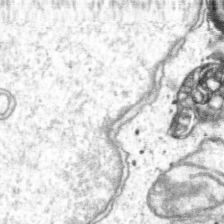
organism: Human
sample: HeLa cells